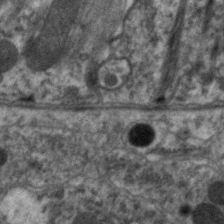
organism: C. elegans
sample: Pharynx